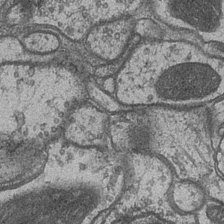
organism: Drosophila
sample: Optic medulla